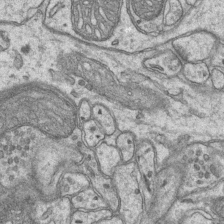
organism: Mouse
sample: CA1 Hippocampus